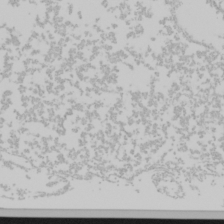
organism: Mouse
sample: Cancer cell death in ED-1 cells